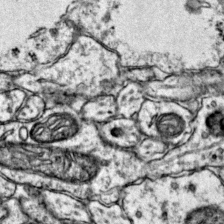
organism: Mouse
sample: Primary visual cortex